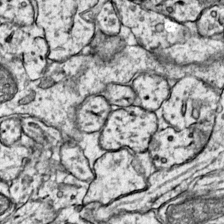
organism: Mouse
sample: Primary visual cortex